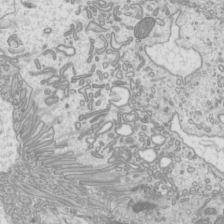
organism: Mouse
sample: Cilia; mouse epididymis